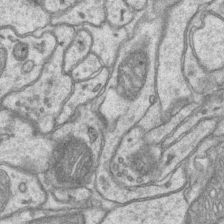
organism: Mouse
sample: CA1 Hippocampus